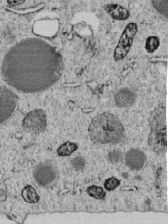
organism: C. elegans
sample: C. elegans embryo early stage